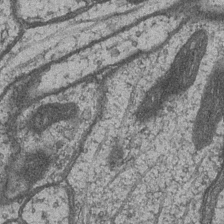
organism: Drosophila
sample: Optic medulla